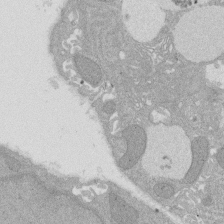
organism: Rat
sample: Salivary granule